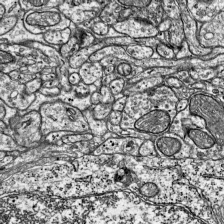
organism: Mouse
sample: Visual Cortex